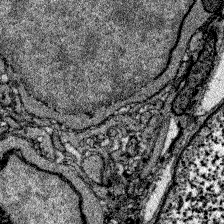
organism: Zebrafish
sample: Larval olfactory bulb